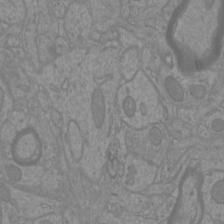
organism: Mouse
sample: Cortical neurons